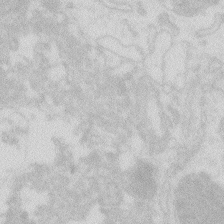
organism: Zebrafish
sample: Macrophage